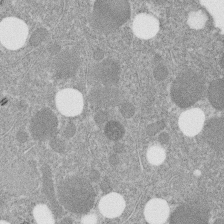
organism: C. elegans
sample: C. elegans embryo early stage